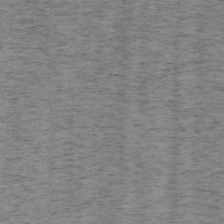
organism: Mouse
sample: OT-I killer T cells with ID8 ovarian cancer cells